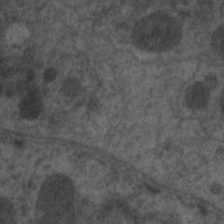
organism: C. elegans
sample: Pharynx